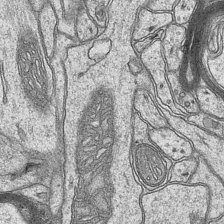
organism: Mouse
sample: CA1 Hippocampus